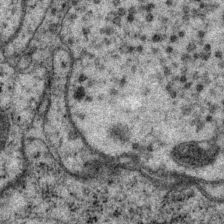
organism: P. pacificus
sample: Pharynx